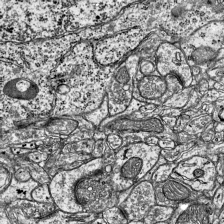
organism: Mouse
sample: Visual Cortex